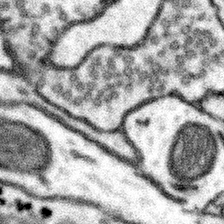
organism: Mouse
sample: Somatosensory cortex neuropil